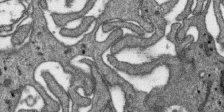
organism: Human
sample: Lung epithelial cells, uninfected (mock) control